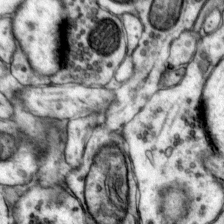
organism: Mouse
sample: Primary visual cortex